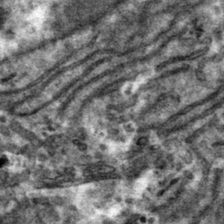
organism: Mouse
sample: Mouse hepatocytes